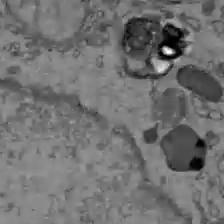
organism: C57BL Mouse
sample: Liver